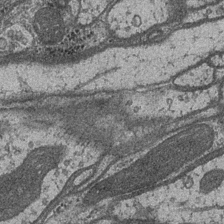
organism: Drosophila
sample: Optic medulla